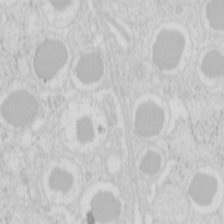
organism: Mouse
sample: Pancreas